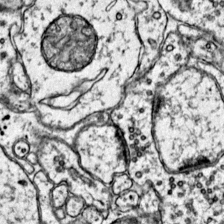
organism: Mouse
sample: Primary visual cortex